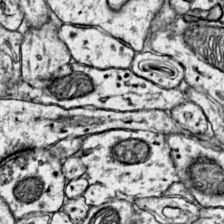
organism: Mouse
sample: Primary visual cortex